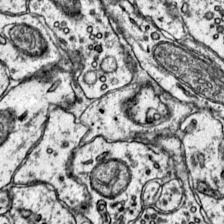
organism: Mouse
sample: Primary visual cortex